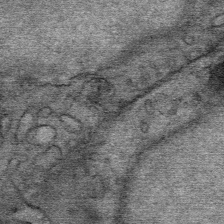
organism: Mouse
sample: Mouse Salivary gland